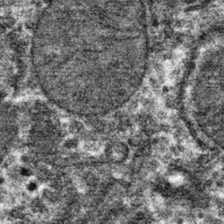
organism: Mouse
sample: Mouse hepatocytes